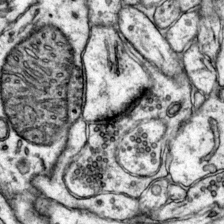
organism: Mouse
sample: Primary visual cortex